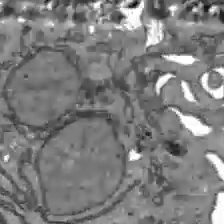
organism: C57BL Mouse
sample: Liver